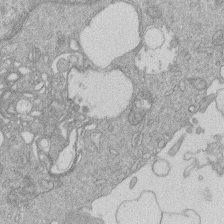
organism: Human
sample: Macrophage cells